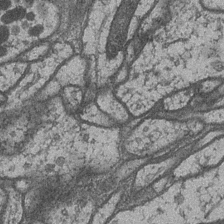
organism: Drosophila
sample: Optic medulla